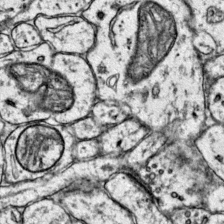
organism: Mouse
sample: Primary visual cortex